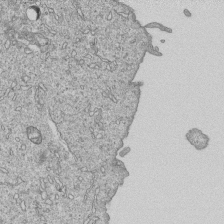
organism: Human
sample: MDA-MB-231 cells